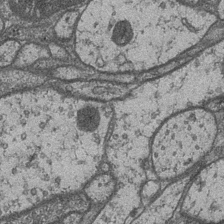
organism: Drosophila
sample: Optic medulla